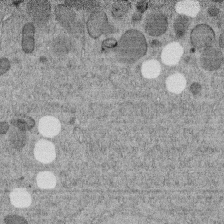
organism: C. elegans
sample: C. elegans embryo early stage